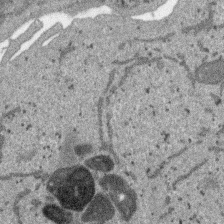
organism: Human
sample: Lung epithelial cells infected with SARS-CoV-2